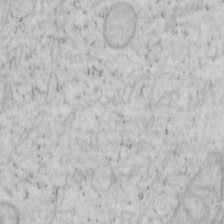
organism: Human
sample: HeLa cells